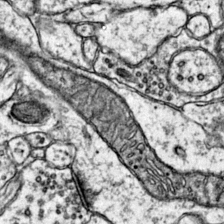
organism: Mouse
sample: Primary visual cortex